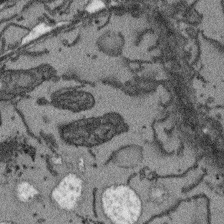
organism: Arabidopsis thaliana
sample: Root tip